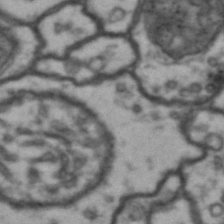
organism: Drosophila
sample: Brain